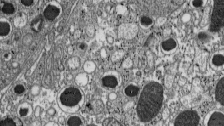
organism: C57BL Mouse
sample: Pancreatic islet